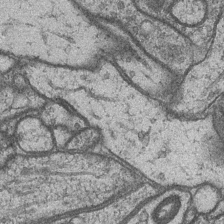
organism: Drosophila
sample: Optic medulla